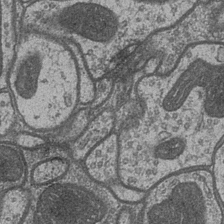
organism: Drosophila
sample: Optic medulla